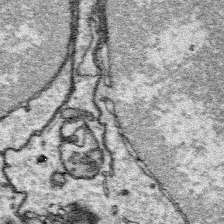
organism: Platynereis dumerilii